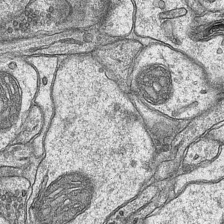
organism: Mouse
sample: CA1 Hippocampus